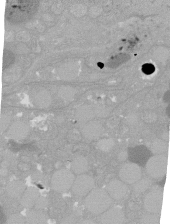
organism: C. elegans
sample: C. elegans oocyte; sperm cells